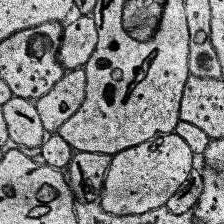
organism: Human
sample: Temporal Lobe